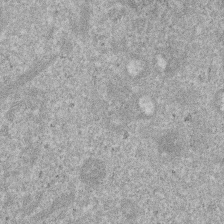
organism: Mouse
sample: Dividing mouse embryo 1 cell stage